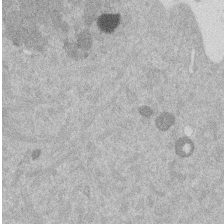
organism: Mouse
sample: Dividing mouse embryo 1 cell stage